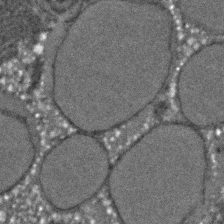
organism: C. elegans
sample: C. elegans embryo